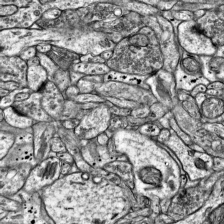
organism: Mouse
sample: Visual Cortex